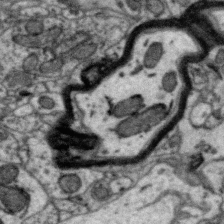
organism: Zebra finch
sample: Brain